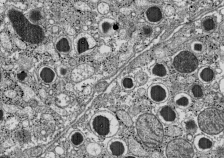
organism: C57BL Mouse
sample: Pancreatic islet